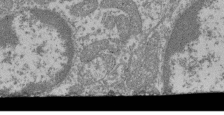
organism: Mouse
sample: Glomerulus